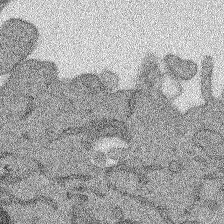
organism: Human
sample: HeLa cells